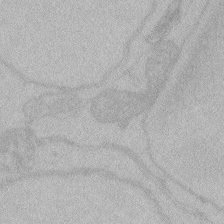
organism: Zebrafish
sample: Macrophage infected with Toxoplasma gondii